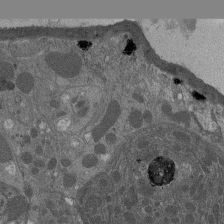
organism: Drosophila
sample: Antenna